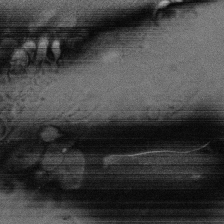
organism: Rat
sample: Salivary granule